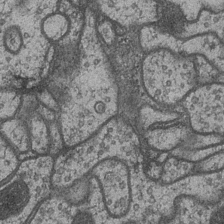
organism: Drosophila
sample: Optic medulla